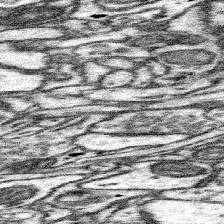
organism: Mouse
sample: Somatosensory cortex neuropil